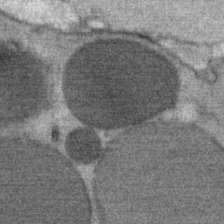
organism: Mouse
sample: Mouse Salivary gland